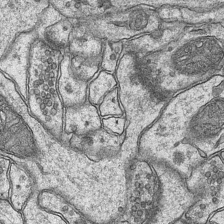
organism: Mouse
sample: CA1 Hippocampus